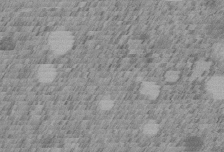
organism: C. elegans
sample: C. elegans embryo early stage